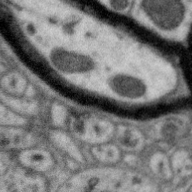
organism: Zebra finch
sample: Brain